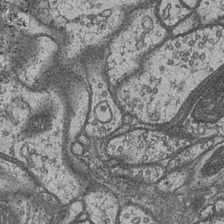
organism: Drosophila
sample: Optic medulla